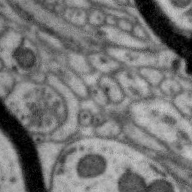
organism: Zebra finch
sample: Brain